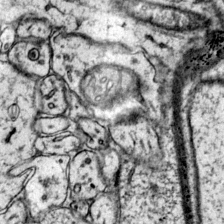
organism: Mouse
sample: Primary visual cortex